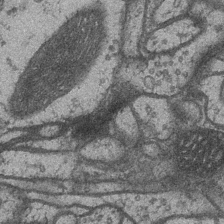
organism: Drosophila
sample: Optic medulla